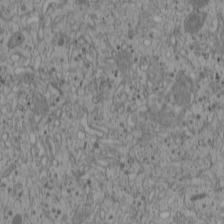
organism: African green monkey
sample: COS-7 cells